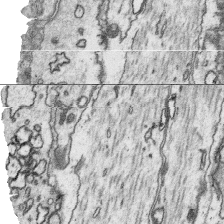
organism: Platynereis dumerilii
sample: Parapodia